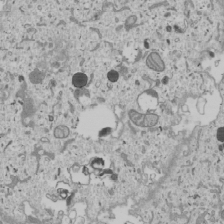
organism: Human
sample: Mitochondria in U2OS cells